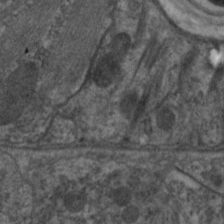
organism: C. elegans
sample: Pharynx